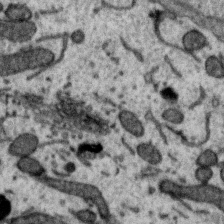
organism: Zebra finch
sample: Brain